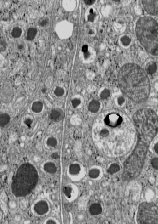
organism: C57BL Mouse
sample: Pancreatic islet